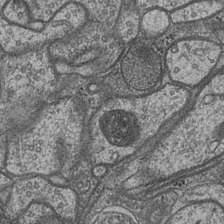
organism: Drosophila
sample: Optic medulla